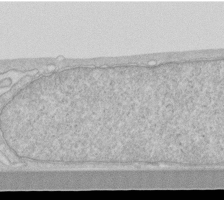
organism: Human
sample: Fibroblast cells